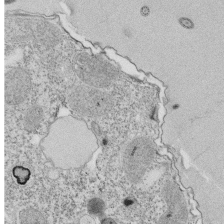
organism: Tetrahymena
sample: Cilia in tetrahymena